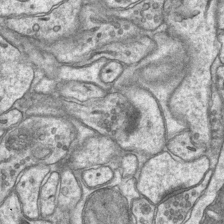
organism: Mouse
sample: CA1 Hippocampus